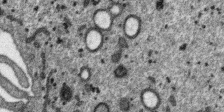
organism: Human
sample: Lung epithelial cells infected with SARS-CoV-2